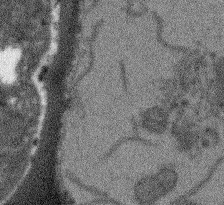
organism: Arabidopsis thaliana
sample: Root tip